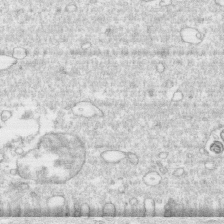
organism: Human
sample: CRL-1474